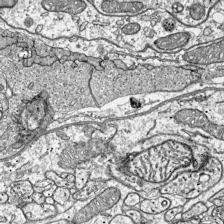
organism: Mouse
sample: Visual Cortex